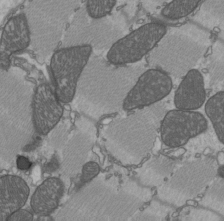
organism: C57BL Mouse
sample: Heart